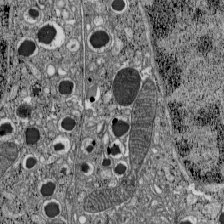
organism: C57BL Mouse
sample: Pancreatic islet